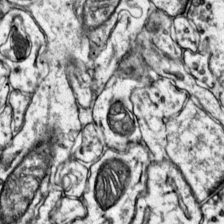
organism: Mouse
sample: Primary visual cortex